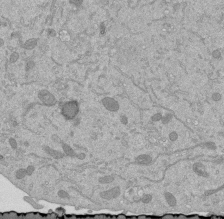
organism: Mouse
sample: ED-1 cell nuclei; centrioles